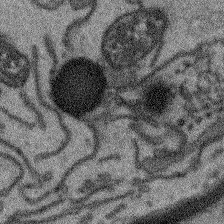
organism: Arabidopsis thaliana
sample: Root tip